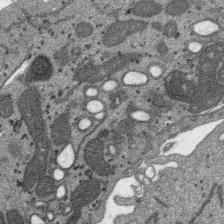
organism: Human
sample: Lung epithelial cells infected with SARS-CoV-2